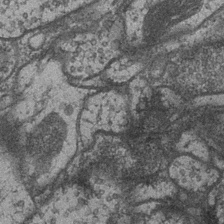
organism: Drosophila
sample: Optic medulla